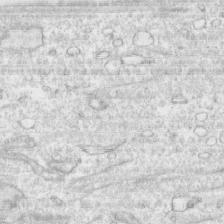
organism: Human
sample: CRL-1474